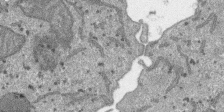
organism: Human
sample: Lung epithelial cells infected with SARS-CoV-2